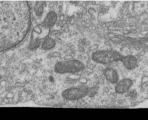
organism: Human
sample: Centriole in RPE cells